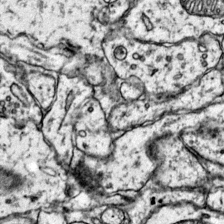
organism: Mouse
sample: Primary visual cortex